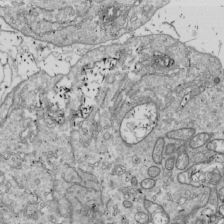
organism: Drosophila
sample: Cell division; meiosis; drosophila spermatocytes